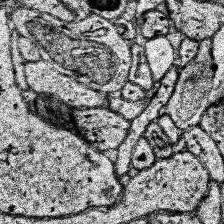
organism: Human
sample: Temporal Lobe